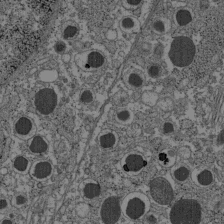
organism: C57BL Mouse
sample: Pancreatic islet